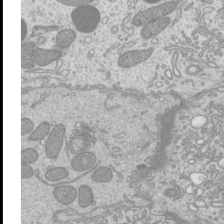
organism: Mouse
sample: Cilia; mouse epididymis